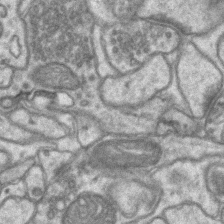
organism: Mouse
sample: CA1 Hippocampus